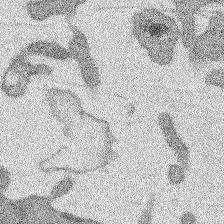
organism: Human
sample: HeLa cells